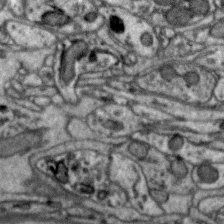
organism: Zebra finch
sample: Brain